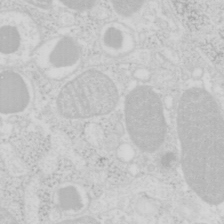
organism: Mouse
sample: Pancreas